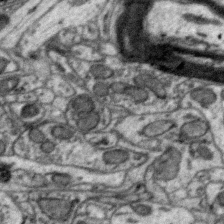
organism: Zebra finch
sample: Brain